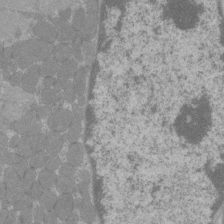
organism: C57BL Mouse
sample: Tibialis anterior muscle cell